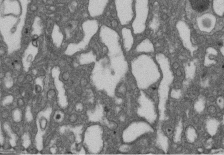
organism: Drosophila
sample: Nephrocyte